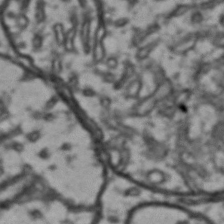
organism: Drosophila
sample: Brain